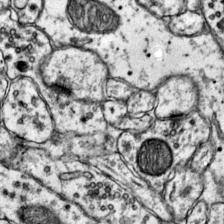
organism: Mouse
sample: Primary visual cortex